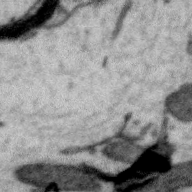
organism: Zebra finch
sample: Brain